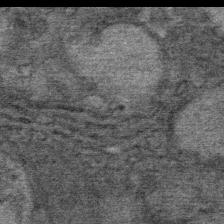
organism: Mouse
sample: Mouse Salivary gland